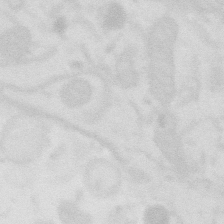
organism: Human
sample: HeLa cells